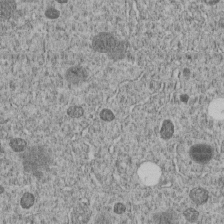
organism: C. elegans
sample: C. elegans embryo early stage